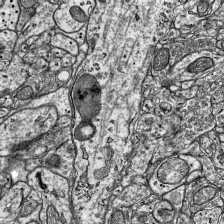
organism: Mouse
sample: Visual Cortex